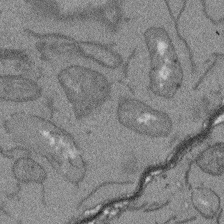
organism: Arabidopsis thaliana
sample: Root tip